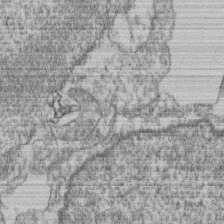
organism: Mouse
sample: T cell stromal cell synapse